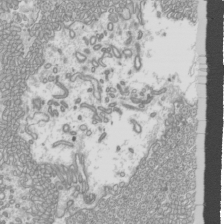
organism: Mouse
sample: Cilia; mouse epididymis